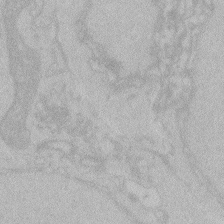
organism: Zebrafish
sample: Macrophage infected with Toxoplasma gondii